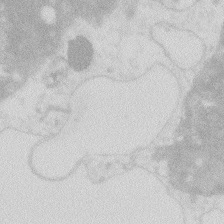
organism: Zebrafish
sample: Macrophage